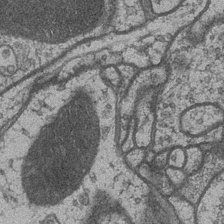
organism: Drosophila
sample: Optic medulla